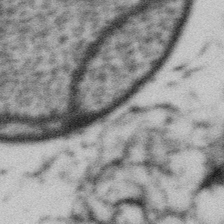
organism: Gemmata obscuriglobus